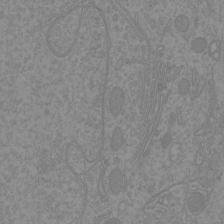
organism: Mouse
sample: Cortical neurons